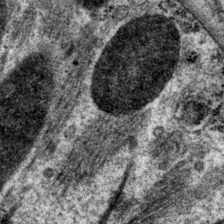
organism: P. pacificus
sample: Pharynx